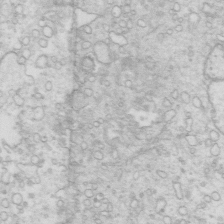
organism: Mouse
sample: Multiciliated cells